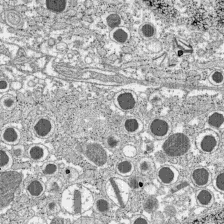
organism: C57BL Mouse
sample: Pancreatic islet